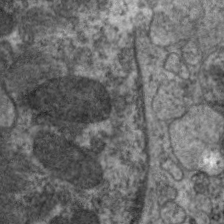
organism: C. elegans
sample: Pharynx